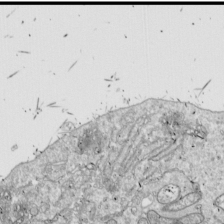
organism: Drosophila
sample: Cell division; meiosis; drosophila spermatocytes